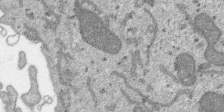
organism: Human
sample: Lung epithelial cells infected with SARS-CoV-2